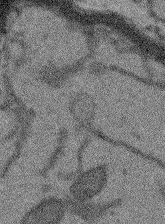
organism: Arabidopsis thaliana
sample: Root tip